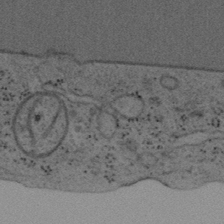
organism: Human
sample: HeLa cells